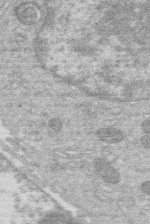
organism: Human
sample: Macrophage cells